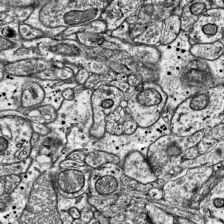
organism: Mouse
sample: Visual Cortex